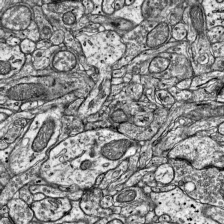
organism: Mouse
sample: Visual Cortex